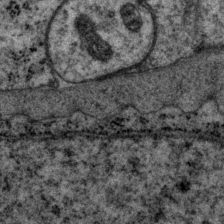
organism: P. pacificus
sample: Pharynx